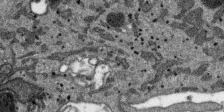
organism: Human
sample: Lung epithelial cells, uninfected (mock) control